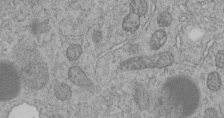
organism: C. elegans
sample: C. elegans embryo early stage